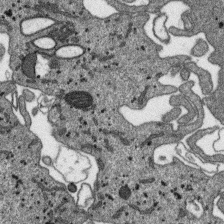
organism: Human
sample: Lung epithelial cells infected with SARS-CoV-2